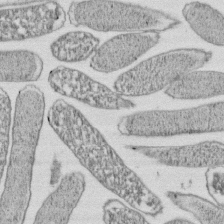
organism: E. coli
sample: Bacterial nucleoid